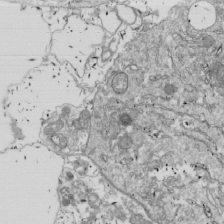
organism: Drosophila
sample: Cell division; meiosis; drosophila spermatocytes